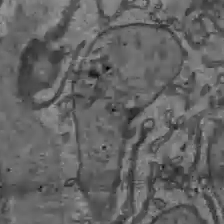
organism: C57BL Mouse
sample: Liver